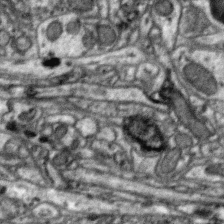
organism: Zebra finch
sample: Brain